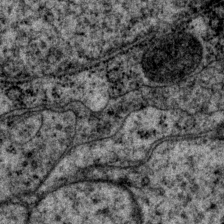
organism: P. pacificus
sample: Pharynx